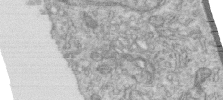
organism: Human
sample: Centriole in RPE cells